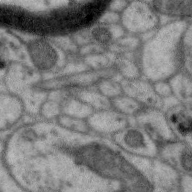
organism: Zebra finch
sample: Brain